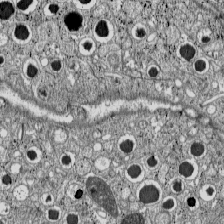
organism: C57BL Mouse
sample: Pancreatic islet